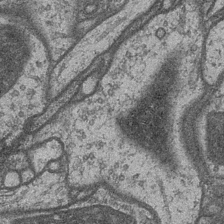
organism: Drosophila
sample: Optic medulla